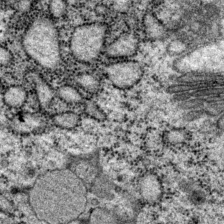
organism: P. pacificus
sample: Pharynx